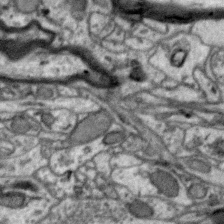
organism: Zebra finch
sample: Brain